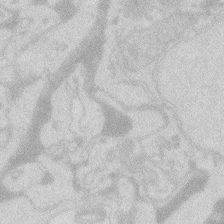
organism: Zebrafish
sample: Macrophage